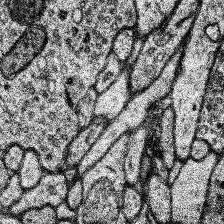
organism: Human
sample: Temporal Lobe